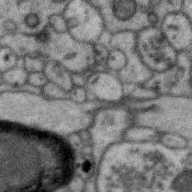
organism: Zebra finch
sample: Brain